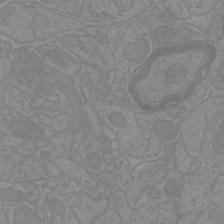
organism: Mouse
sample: Cortical neurons